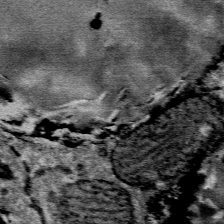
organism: Mouse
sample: Mouse Salivary gland